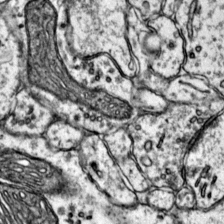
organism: Mouse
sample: Primary visual cortex